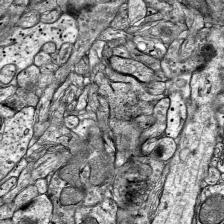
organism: Mouse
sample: Visual Cortex